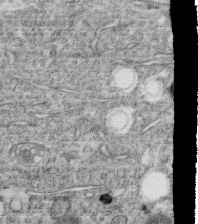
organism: C. elegans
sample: C. elegans oocyte; sperm cells